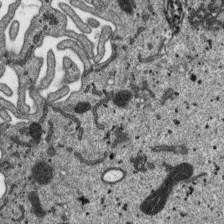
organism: Human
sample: Lung epithelial cells infected with SARS-CoV-2